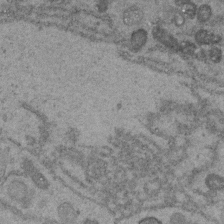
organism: C. elegans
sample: C. elegans embryo early stage